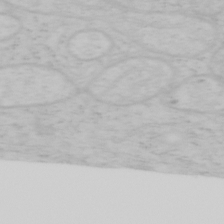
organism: Mouse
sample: OT-I killer T cells with ID8 ovarian cancer cells